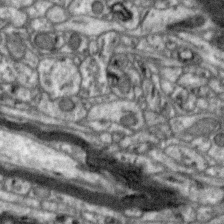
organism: Zebra finch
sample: Brain